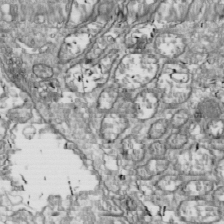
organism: Drosophila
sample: Cell division; meiosis; drosophila spermatocytes